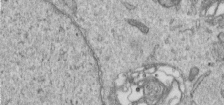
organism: Human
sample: Centriole in RPE cells